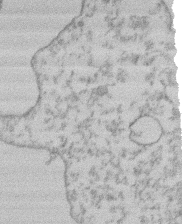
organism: Mouse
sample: T cell stromal cell synapse